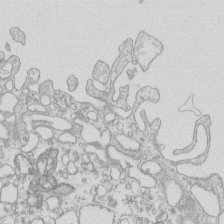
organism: Mouse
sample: Macrophages